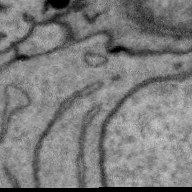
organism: Zebra finch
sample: Brain